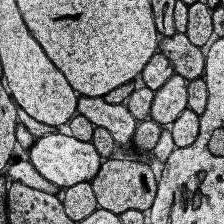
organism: Human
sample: Temporal Lobe